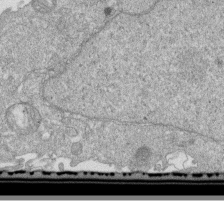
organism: Human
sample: HeLa cell HIV synapse